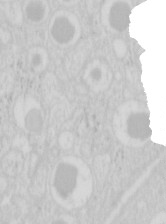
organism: Mouse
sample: Pancreas